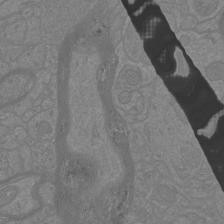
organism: Mouse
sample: Cortical neurons